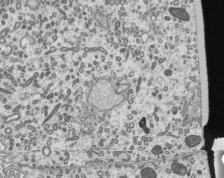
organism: Mouse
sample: Mouse epididymis efferent ductule cilia